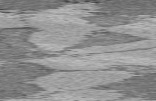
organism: C57BL Mouse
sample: Heart